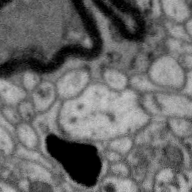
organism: Zebra finch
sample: Brain